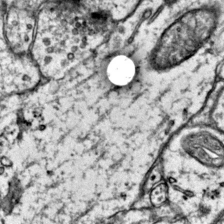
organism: Mouse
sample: Primary visual cortex